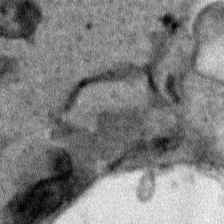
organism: Human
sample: Mitochondria in HCT116 cells